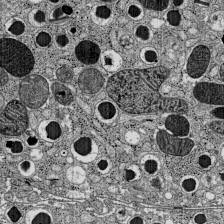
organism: C57BL Mouse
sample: Pancreatic islet